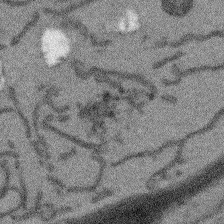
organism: Arabidopsis thaliana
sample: Root tip